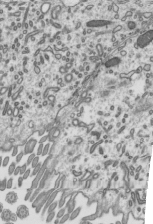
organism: Mouse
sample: Mouse epididymis efferent ductule cilia